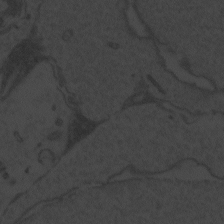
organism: Zebrafish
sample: Macrophage infected with Toxoplasma gondii